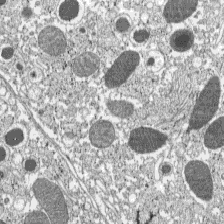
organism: C57BL Mouse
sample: Pancreatic islet